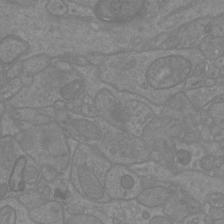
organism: Mouse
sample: Cortical neurons